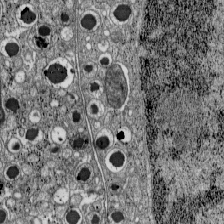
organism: C57BL Mouse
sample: Pancreatic islet